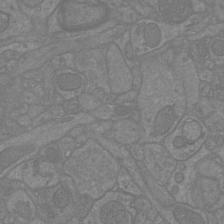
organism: Mouse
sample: Cortical neurons